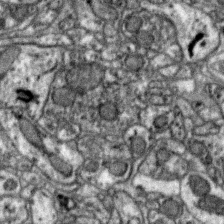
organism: Zebra finch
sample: Brain